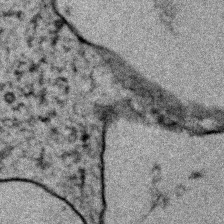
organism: Zebrafish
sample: Zebrafish embryo